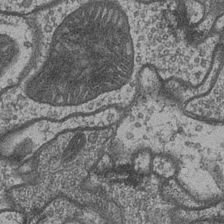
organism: Drosophila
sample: Optic medulla